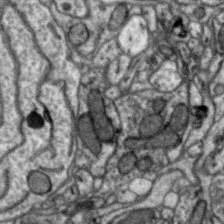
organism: Zebra finch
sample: Brain